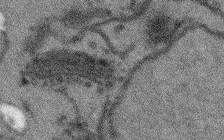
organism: Arabidopsis thaliana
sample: Root tip